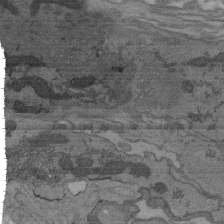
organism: C. elegans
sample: AFD neurons C. elegans